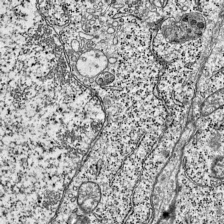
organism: Mouse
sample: Visual Cortex